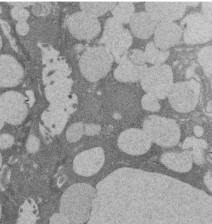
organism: Rat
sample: Salivary granule